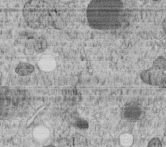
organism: C. elegans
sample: C. elegans embryo early stage